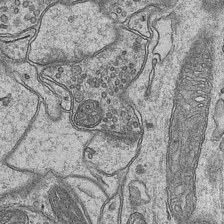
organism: Mouse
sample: CA1 Hippocampus